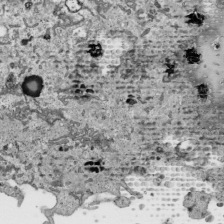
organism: Human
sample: Mitochondria in HCT116 cells